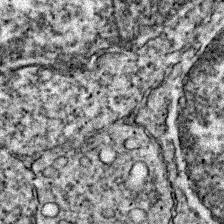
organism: Zebrafish